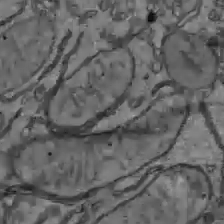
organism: C57BL Mouse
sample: Liver